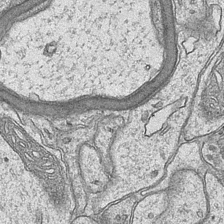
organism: Mouse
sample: CA1 Hippocampus